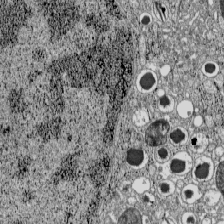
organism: C57BL Mouse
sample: Pancreatic islet